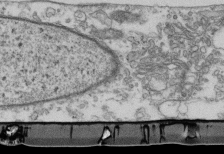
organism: Mouse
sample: Cilia; retinal pigment epithelium